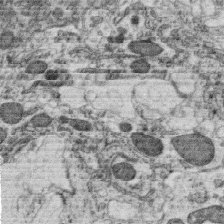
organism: C. elegans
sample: C. elegans oocyte; sperm cells